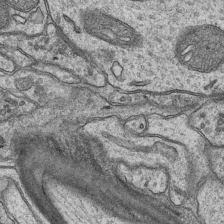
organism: Mouse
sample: CA1 Hippocampus